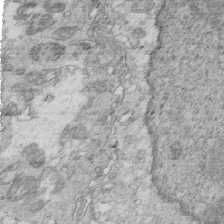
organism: Mouse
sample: Multiciliated cells